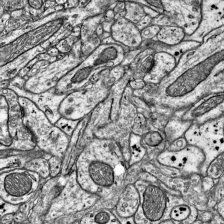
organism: Mouse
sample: Visual Cortex